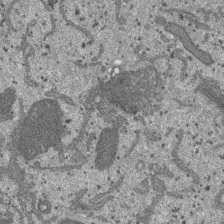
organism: Human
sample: Lung epithelial cells infected with SARS-CoV-2